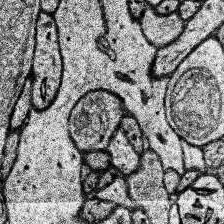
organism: Human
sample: Temporal Lobe